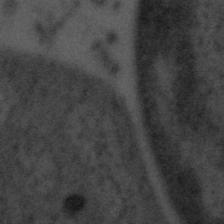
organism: Tuwongella immobilis